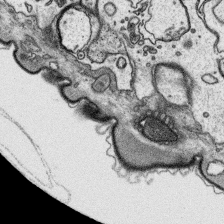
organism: Platynereis dumerilii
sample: Parapodia